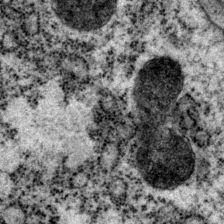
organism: P. pacificus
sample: Pharynx